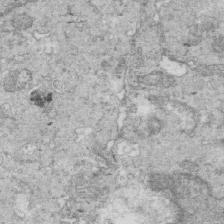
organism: Mouse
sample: Multiciliated cells